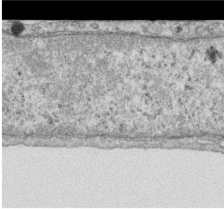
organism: Human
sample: Centriole in RPE cells